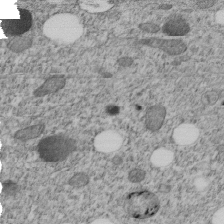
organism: C. elegans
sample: C. elegans embryo early stage